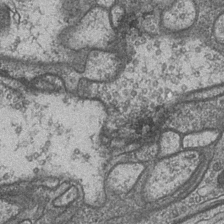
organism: Drosophila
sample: Optic medulla